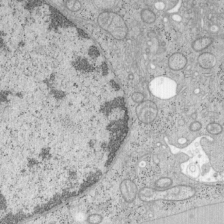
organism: Mouse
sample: OT-I killer T cells with ID8 ovarian cancer cells